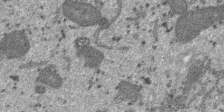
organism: Human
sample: Lung epithelial cells infected with SARS-CoV-2